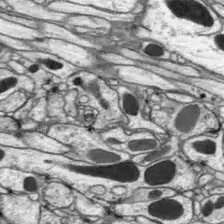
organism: Drosophila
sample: Optic lobe